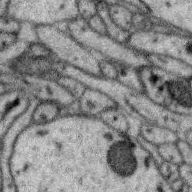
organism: Zebra finch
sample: Brain